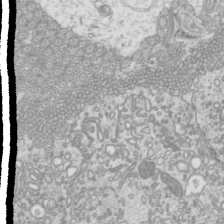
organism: Mouse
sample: Cilia; mouse epididymis